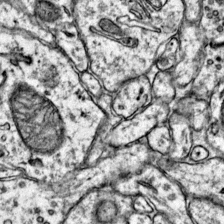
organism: Mouse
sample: Primary visual cortex